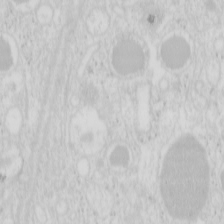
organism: Mouse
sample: Pancreas